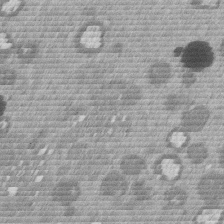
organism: Mouse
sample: Dividing mouse embryo 1 cell stage